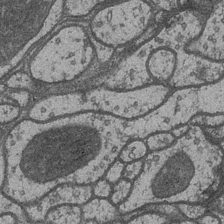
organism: Drosophila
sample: Optic medulla